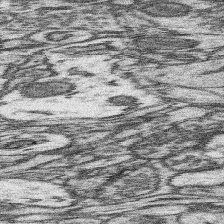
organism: Mouse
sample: Somatosensory cortex neuropil